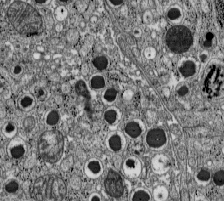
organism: C57BL Mouse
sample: Pancreatic islet